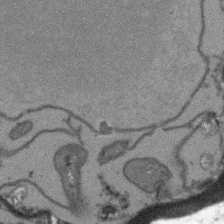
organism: Arabidopsis thaliana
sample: Root tip